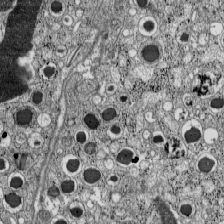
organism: C57BL Mouse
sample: Pancreatic islet